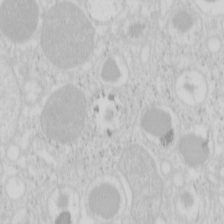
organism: Mouse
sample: Pancreas